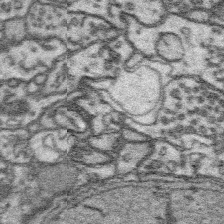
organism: Platynereis dumerilii